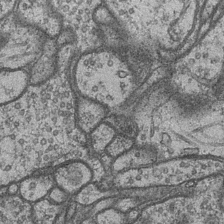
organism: Drosophila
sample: Optic medulla